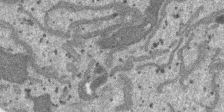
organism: Human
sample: Lung epithelial cells infected with SARS-CoV-2